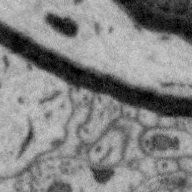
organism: Zebra finch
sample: Brain